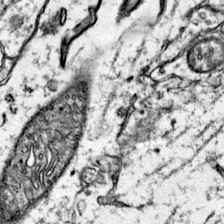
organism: Mouse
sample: Primary visual cortex